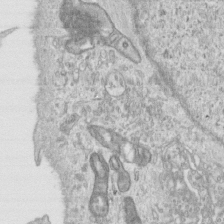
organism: Human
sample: Centriole in RPE cells